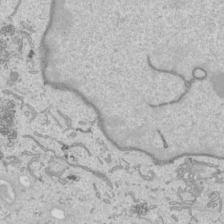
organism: Human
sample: Mitochondria in HCT116 cells